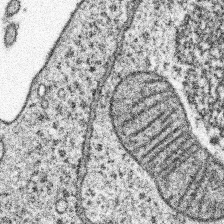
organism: Human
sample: HeLa cells